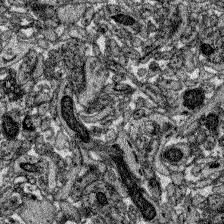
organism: Zebrafish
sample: Larval olfactory bulb